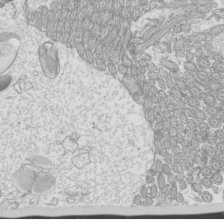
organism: Mouse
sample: Cilia; mouse epididymis